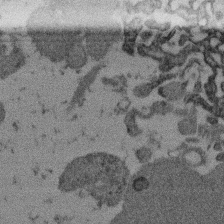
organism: Mouse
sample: Dividing mouse embryo 1 cell stage